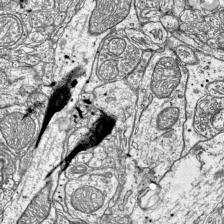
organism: Mouse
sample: Visual Cortex